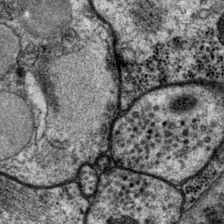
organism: P. pacificus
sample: Pharynx